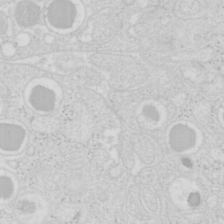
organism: Mouse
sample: Pancreas